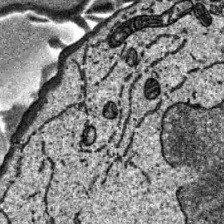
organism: Human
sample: HeLa cells